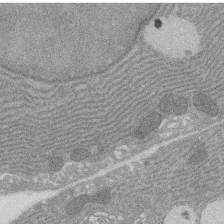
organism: Rat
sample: Salivary granule